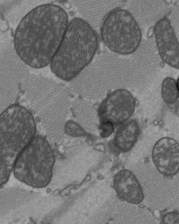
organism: C57BL Mouse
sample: Heart